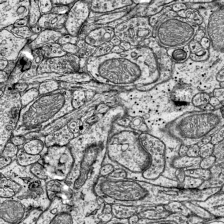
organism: Mouse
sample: Visual Cortex